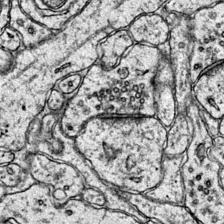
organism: Mouse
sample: Primary visual cortex